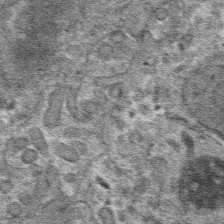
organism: Mouse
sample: Mouse hepatocytes